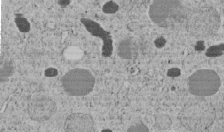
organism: C. elegans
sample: C. elegans embryo early stage